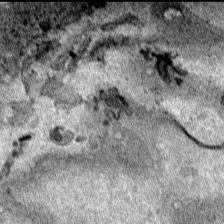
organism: Human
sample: Mitochondria in HCT116 cells